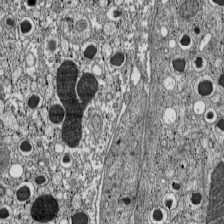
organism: C57BL Mouse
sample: Pancreatic islet